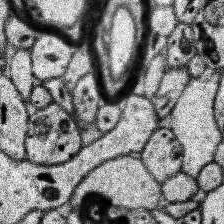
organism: Human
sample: Temporal Lobe